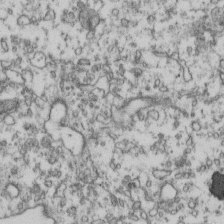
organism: Human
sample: Activated Jurkat CD4+ T cells